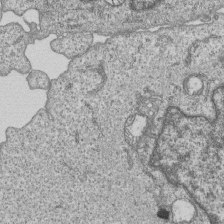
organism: Human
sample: MDA-MB-231 cells